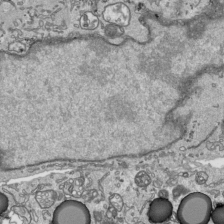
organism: Human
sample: Mitochondria in HCT116 cells